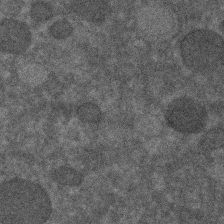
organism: C. elegans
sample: C. elegans embryo